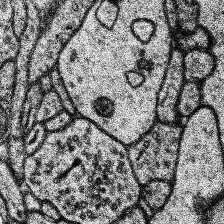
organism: Human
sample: Temporal Lobe